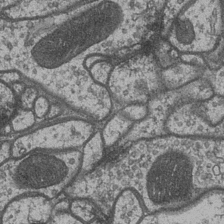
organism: Drosophila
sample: Optic medulla